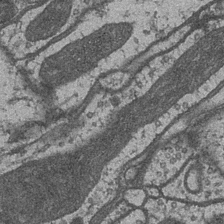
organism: Drosophila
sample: Optic medulla